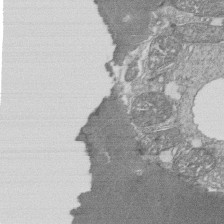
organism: Tetrahymena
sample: Cilia in tetrahymena